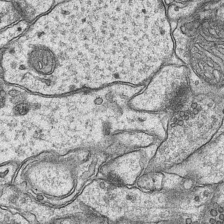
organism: Mouse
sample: CA1 Hippocampus